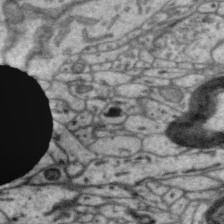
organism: Zebra finch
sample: Brain